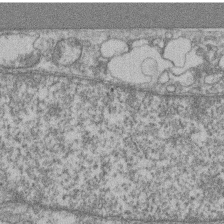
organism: Mouse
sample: T cell stromal cell synapse